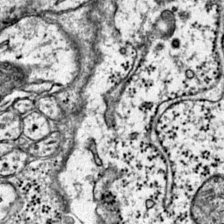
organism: Mouse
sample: Primary visual cortex